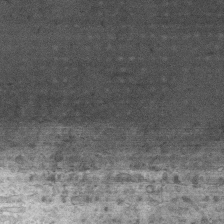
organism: Mouse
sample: Centriole in ependymal cells